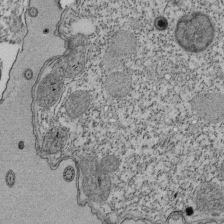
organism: Tetrahymena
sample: Cilia in tetrahymena